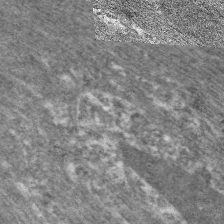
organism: C. elegans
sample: Pharynx